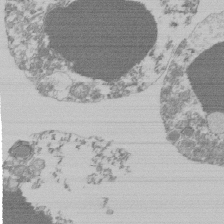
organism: Mouse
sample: Activated Pmel transgenic CD8+ T Cells